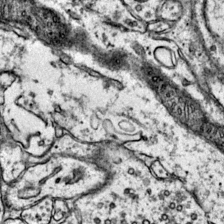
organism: Mouse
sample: Primary visual cortex